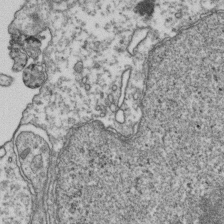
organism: Human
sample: Activated Jurkat CD4+ T cells